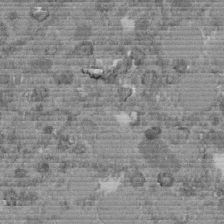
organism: C. elegans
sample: C. elegans embryo early stage